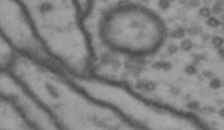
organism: Drosophila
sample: Brain